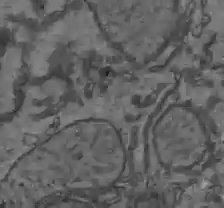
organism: C57BL Mouse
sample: Liver